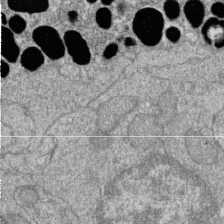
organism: Zebrafish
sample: Cilia; retinal pigment epithelium